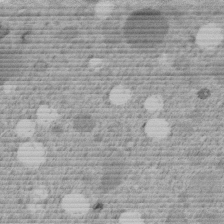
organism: C. elegans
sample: C. elegans embryo early stage